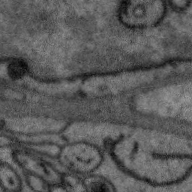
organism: Zebra finch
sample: Brain